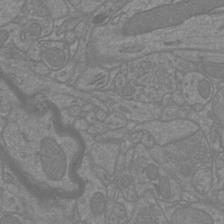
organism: Mouse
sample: Cortical neurons